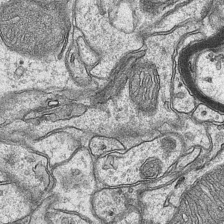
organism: Mouse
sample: CA1 Hippocampus